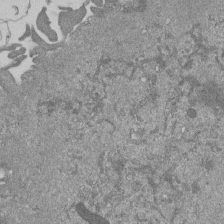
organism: Mouse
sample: ED-1 cell nuclei; centrioles